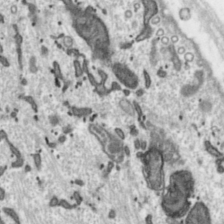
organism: Toxoplasma gondii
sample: Parasites in a vacuole inside a host cell